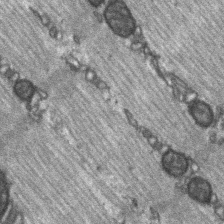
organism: C57BL Mouse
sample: Soleus